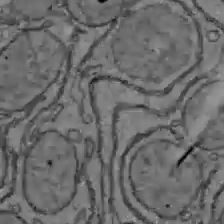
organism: C57BL Mouse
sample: Liver